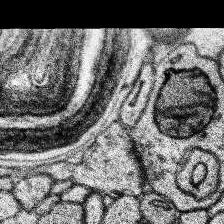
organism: Human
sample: Temporal Lobe